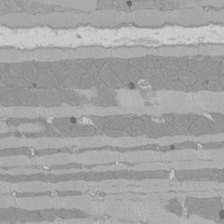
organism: Rat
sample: Left ventricle